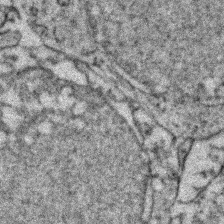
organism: Zebrafish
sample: Zebrafish embryo